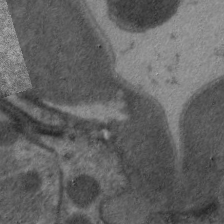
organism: C. elegans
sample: Pharynx